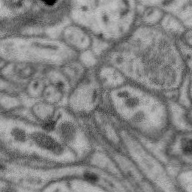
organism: Zebra finch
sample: Brain